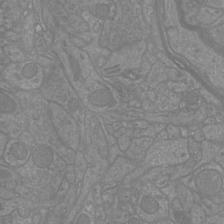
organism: Mouse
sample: Cortical neurons